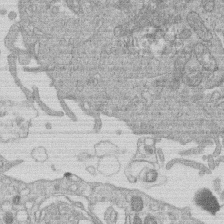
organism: Human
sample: Macrophage cells